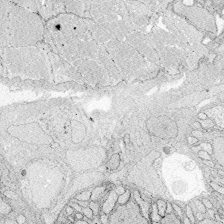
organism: Zebrafish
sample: Whole-Brain